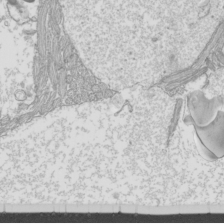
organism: Mouse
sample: Cilia; mouse epididymis